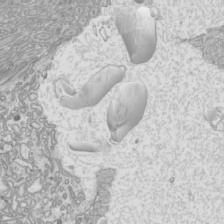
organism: Mouse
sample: Cilia; mouse epididymis